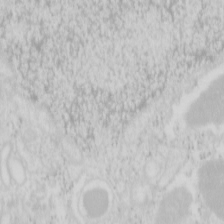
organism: Mouse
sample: Pancreas